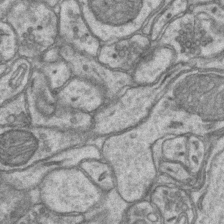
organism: Mouse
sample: CA1 Hippocampus